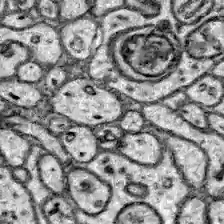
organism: Zebrafish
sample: Brain